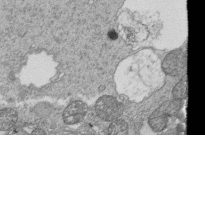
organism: Tetrahymena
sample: Cilia in tetrahymena